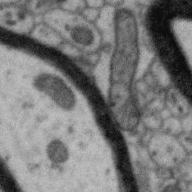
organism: Zebra finch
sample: Brain